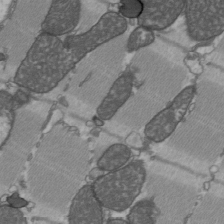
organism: C57BL Mouse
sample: Heart